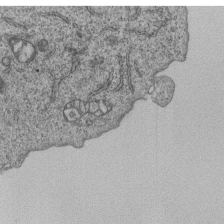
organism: Human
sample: MDA-MB-231 cells